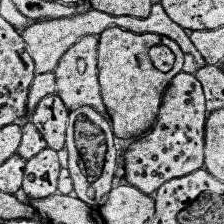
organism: Human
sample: Temporal Lobe